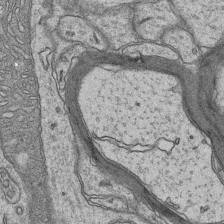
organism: Mouse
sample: CA1 Hippocampus